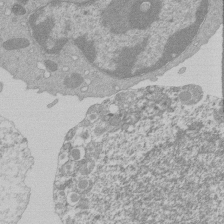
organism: Mouse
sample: Activated Pmel transgenic CD8+ T Cells